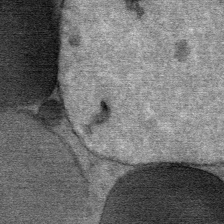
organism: Mouse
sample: Mouse Salivary gland